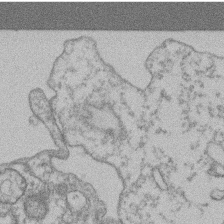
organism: Mouse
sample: T cell stromal cell synapse